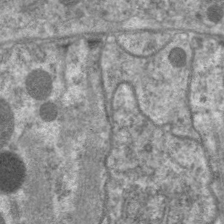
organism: C. elegans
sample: Pharynx